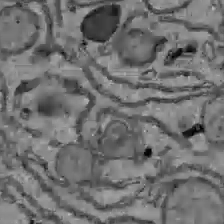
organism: C57BL Mouse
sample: Liver